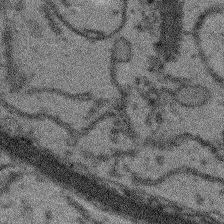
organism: Arabidopsis thaliana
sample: Root tip